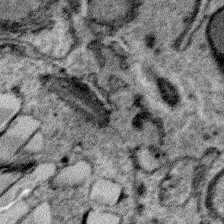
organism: Plasmodium falciparum